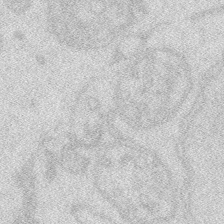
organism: Zebrafish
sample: Macrophage